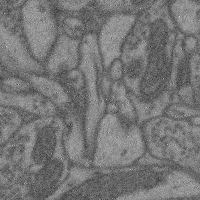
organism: Mouse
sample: Cerebral cortex